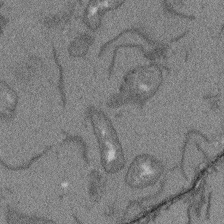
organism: Arabidopsis thaliana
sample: Root tip